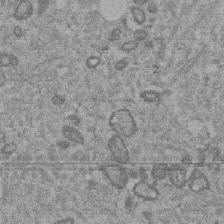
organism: Mouse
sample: Dividing mouse embryo 1 cell stage